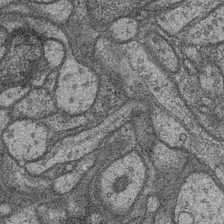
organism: Drosophila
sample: Optic medulla